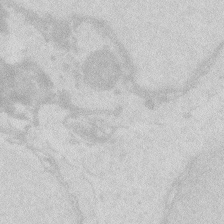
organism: Zebrafish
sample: Macrophage